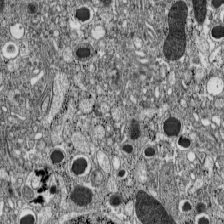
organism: C57BL Mouse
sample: Pancreatic islet